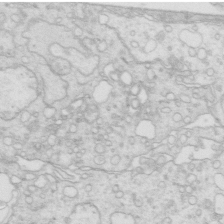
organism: Mouse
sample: Multiciliated cells